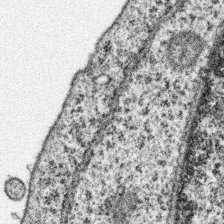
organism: Human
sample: HeLa cells